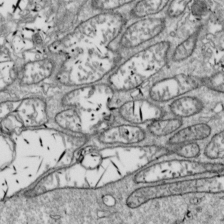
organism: Drosophila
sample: Cell division; meiosis; drosophila spermatocytes